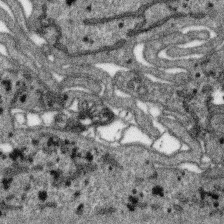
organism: Human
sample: Lung epithelial cells infected with SARS-CoV-2